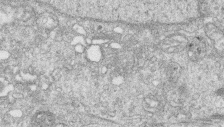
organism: Human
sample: HeLa cell HIV synapse